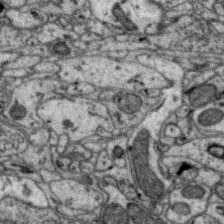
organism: Zebra finch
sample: Brain